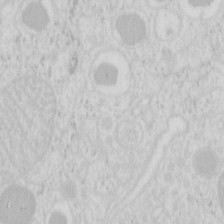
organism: Mouse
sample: Pancreas